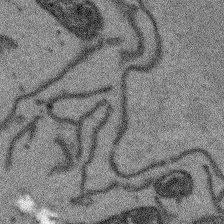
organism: Arabidopsis thaliana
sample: Root tip